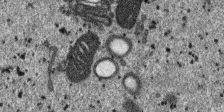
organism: Human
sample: Lung epithelial cells infected with SARS-CoV-2